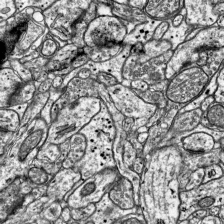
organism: Mouse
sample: Visual Cortex